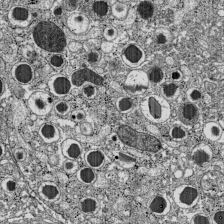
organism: C57BL Mouse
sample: Pancreatic islet